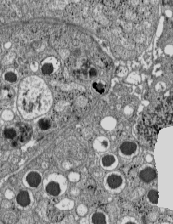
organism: C57BL Mouse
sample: Pancreatic islet